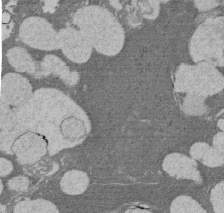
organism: Rat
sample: Salivary granule